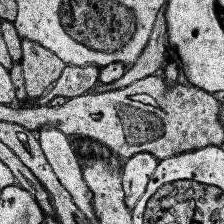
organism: Human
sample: Temporal Lobe